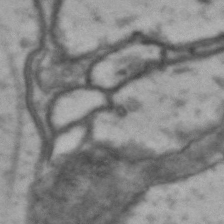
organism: Drosophila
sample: Brain